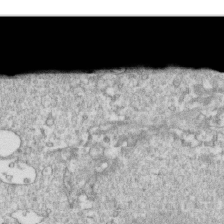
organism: Mouse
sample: Activated OT-1 CD8+ T cells